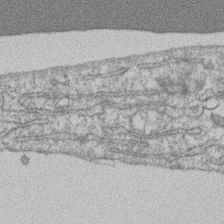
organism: Mouse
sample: T cell stromal cell synapse